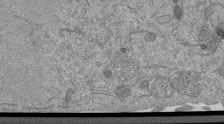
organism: Mouse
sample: ED-1 cell nuclei; centrioles